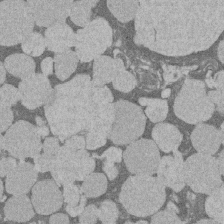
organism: Rat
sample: Salivary granule